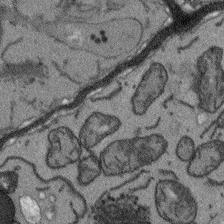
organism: Arabidopsis thaliana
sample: Root tip